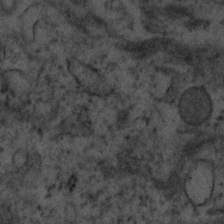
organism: Human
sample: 1205lu cells